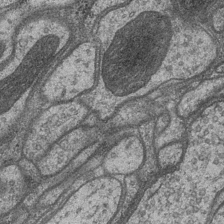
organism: Drosophila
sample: Optic medulla